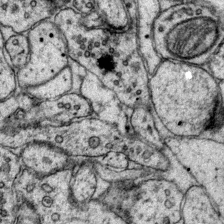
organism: Mouse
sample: Primary visual cortex